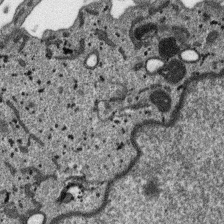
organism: Human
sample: Lung epithelial cells infected with SARS-CoV-2